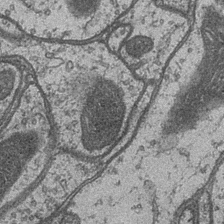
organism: Drosophila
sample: Optic medulla